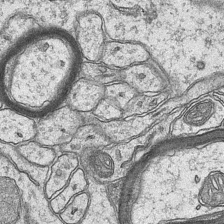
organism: Mouse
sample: CA1 Hippocampus